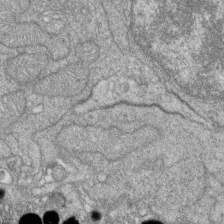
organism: Zebrafish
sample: Cilia; retinal pigment epithelium